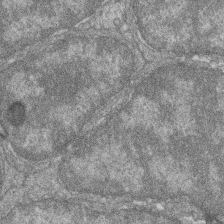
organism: Zebrafish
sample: Cilia; retinal pigment epithelium